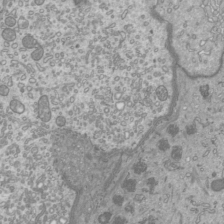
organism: Mouse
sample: Cilia; mouse epididymis